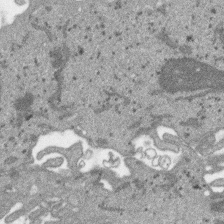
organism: Human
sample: Lung epithelial cells infected with SARS-CoV-2